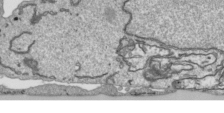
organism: Human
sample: Mitochondria in HCT116 cells